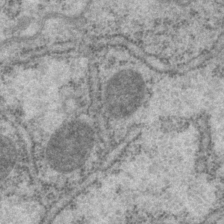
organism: P. pacificus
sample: Pharynx